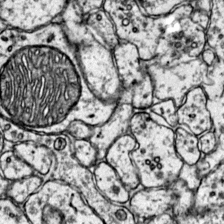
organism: Mouse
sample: Primary visual cortex